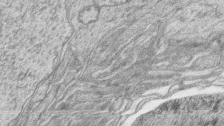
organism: Zebrafish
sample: synaptic ribbons in rod cells and cone cells